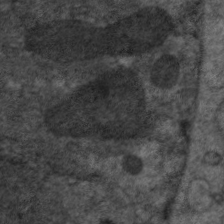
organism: C. elegans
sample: Pharynx